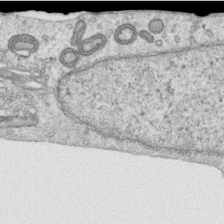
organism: Human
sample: Centriole in RPE cells